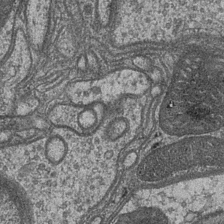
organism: Drosophila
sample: Optic medulla